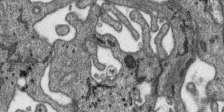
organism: Human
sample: Lung epithelial cells infected with SARS-CoV-2